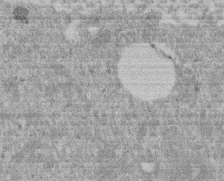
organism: Mouse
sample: Dividing mouse embryo 1 cell stage